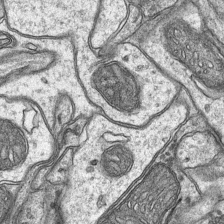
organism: Mouse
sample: CA1 Hippocampus